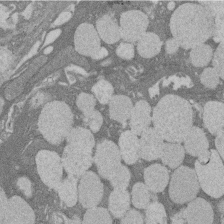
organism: Rat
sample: Salivary granule